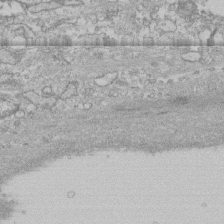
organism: Human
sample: CRL-1474